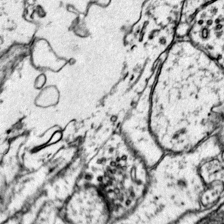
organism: Mouse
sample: Primary visual cortex